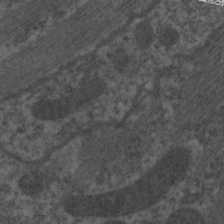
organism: C. elegans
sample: Pharynx